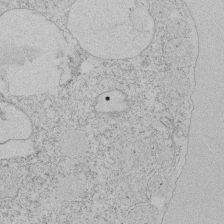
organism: Tetrahymena